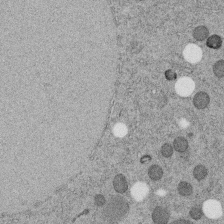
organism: C. elegans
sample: C. elegans embryo early stage